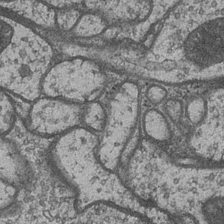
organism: Drosophila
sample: Optic medulla